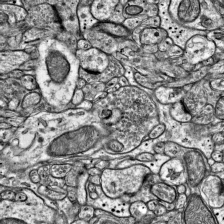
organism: Mouse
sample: Visual Cortex